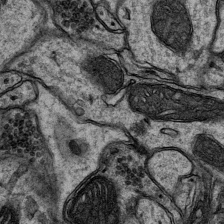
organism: Mouse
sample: CA1 Hippocampus